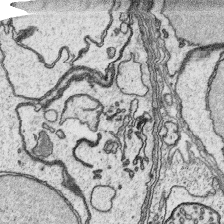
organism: Platynereis dumerilii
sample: Parapodia